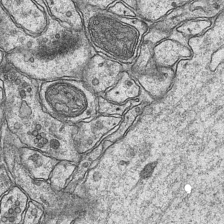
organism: Mouse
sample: CA1 Hippocampus